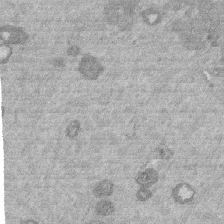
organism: Mouse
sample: Dividing mouse embryo 1 cell stage